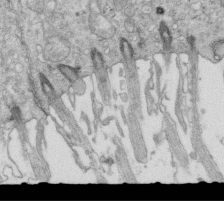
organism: Mouse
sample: Multiciliated cells